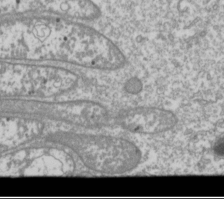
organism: Drosophila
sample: Cell division; meiosis; drosophila spermatocytes